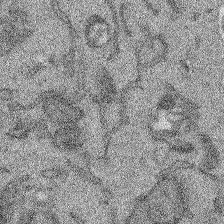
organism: Human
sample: HeLa cells